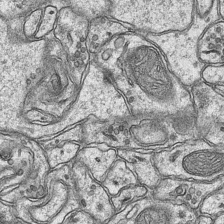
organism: Mouse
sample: CA1 Hippocampus